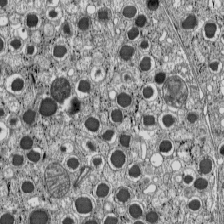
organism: C57BL Mouse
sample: Pancreatic islet